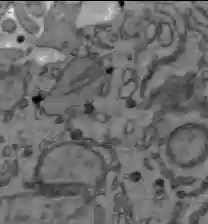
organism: C57BL Mouse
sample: Liver